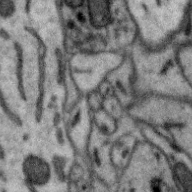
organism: Zebra finch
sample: Brain